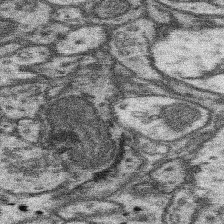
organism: Mouse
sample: Somatosensory cortex neuropil